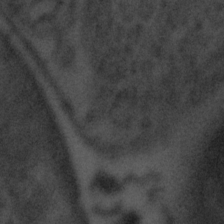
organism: Tuwongella immobilis